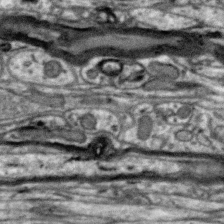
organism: Zebra finch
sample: Brain